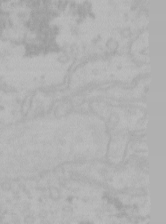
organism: Mouse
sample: Choroid plexus